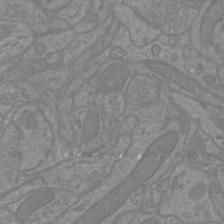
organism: Mouse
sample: Cortical neurons